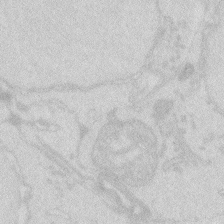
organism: Zebrafish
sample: Macrophage